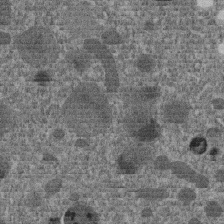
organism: C. elegans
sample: C. elegans embryo early stage